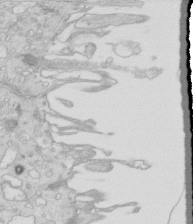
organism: Mouse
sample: Multiciliated cells